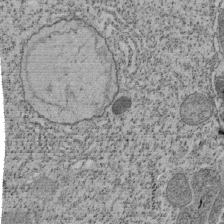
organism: Tetrahymena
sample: Cilia in tetrahymena